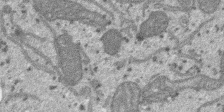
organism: Human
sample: Lung epithelial cells infected with SARS-CoV-2